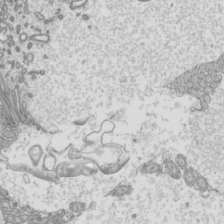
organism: Mouse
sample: Cilia; mouse epididymis